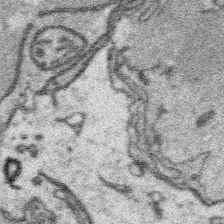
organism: Platynereis dumerilii